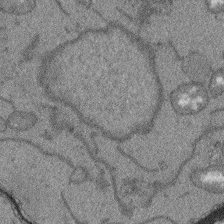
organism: Arabidopsis thaliana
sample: Root tip